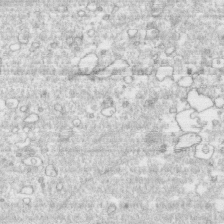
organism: Human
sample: CRL-1474